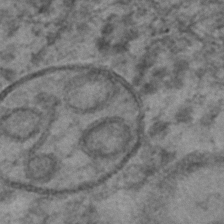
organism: C. elegans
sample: C. elegans embryo